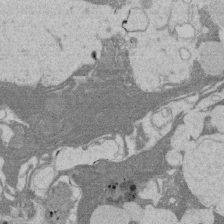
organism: Rat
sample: Salivary granule